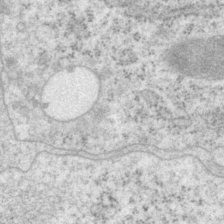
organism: P. pacificus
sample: Pharynx